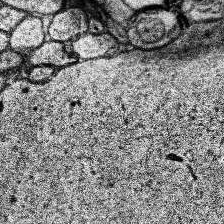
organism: Human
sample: Temporal Lobe